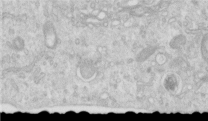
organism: Human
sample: Centriole in RPE cells